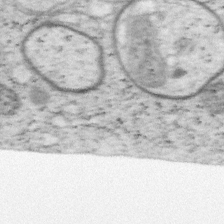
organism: Mouse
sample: OT-I killer T cells with ID8 ovarian cancer cells